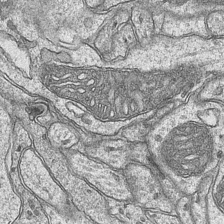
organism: Mouse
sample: CA1 Hippocampus